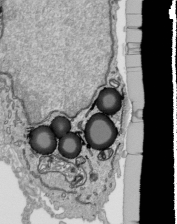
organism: Human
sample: Mitochondria in HCT116 cells